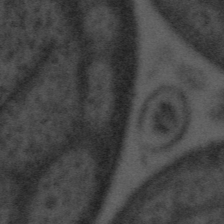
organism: Tuwongella immobilis